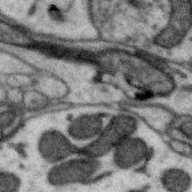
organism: Zebra finch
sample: Brain